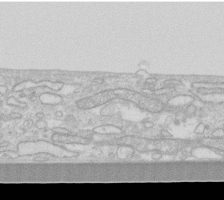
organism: Human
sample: Fibroblast cells